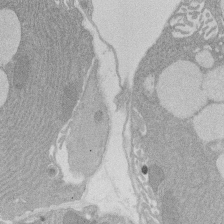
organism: Rat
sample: Salivary granule